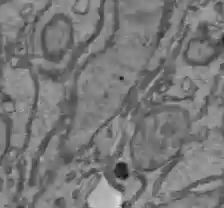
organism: C57BL Mouse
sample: Liver